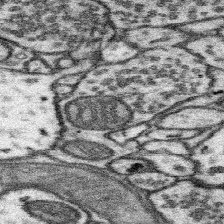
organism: Mouse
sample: Somatosensory cortex neuropil